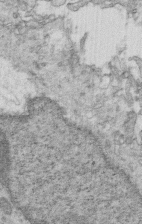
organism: Mouse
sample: Multiciliated cells